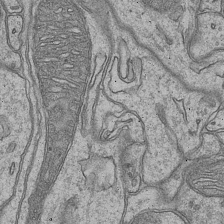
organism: Mouse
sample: CA1 Hippocampus